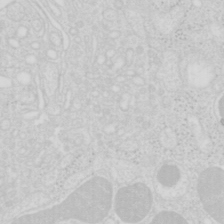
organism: Mouse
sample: Pancreas